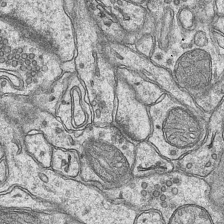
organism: Mouse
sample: CA1 Hippocampus